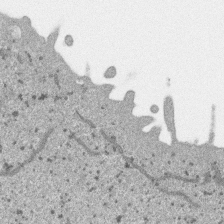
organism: Human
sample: Lung epithelial cells infected with SARS-CoV-2